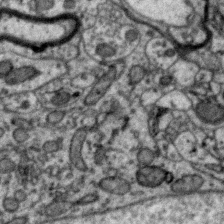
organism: Zebra finch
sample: Brain